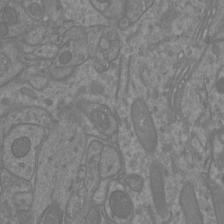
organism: Mouse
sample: Cortical neurons